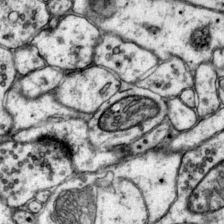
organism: Mouse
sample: Primary visual cortex